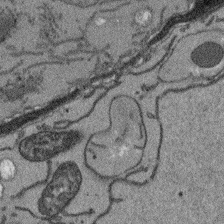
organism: Arabidopsis thaliana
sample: Root tip